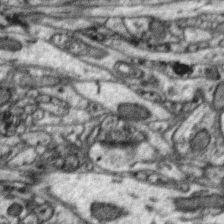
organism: Zebra finch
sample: Brain